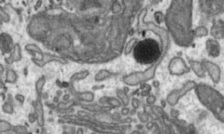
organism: Toxoplasma gondii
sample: Parasites in a vacuole inside a host cell